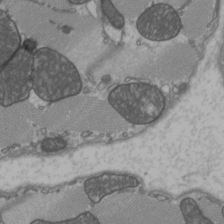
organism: C57BL Mouse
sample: Heart